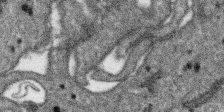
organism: Human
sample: Lung epithelial cells infected with SARS-CoV-2